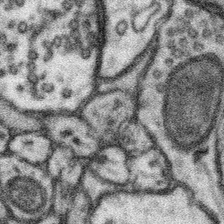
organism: Mouse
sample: Somatosensory cortex neuropil